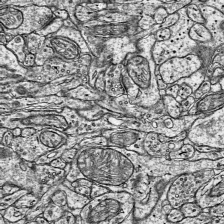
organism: Mouse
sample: Visual Cortex